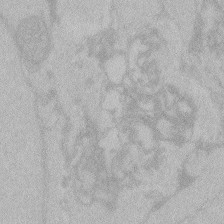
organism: Zebrafish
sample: Macrophage infected with Toxoplasma gondii